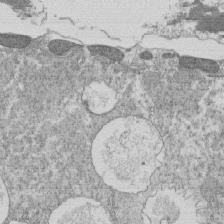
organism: Tetrahymena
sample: Cilia in tetrahymena